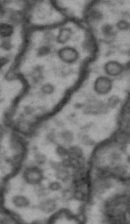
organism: Drosophila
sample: Brain